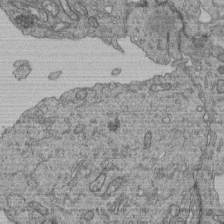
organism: Human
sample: Retinal organoid Rod and Cone cells